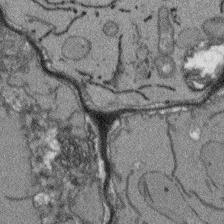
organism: Arabidopsis thaliana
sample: Root tip